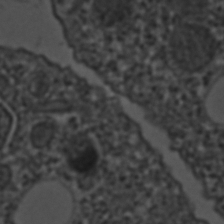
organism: C. elegans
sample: C. elegans embryo